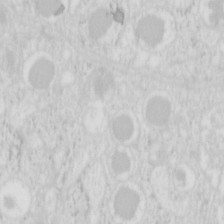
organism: Mouse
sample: Pancreas